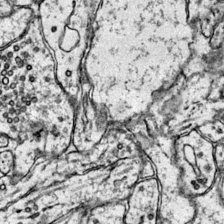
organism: Mouse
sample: Primary visual cortex